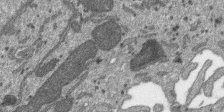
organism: Human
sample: Lung epithelial cells infected with SARS-CoV-2